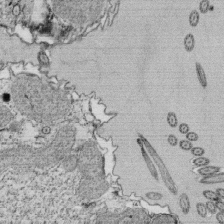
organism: Tetrahymena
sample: Cilia in tetrahymena